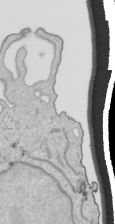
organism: Human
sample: Mitochondria in HCT116 cells